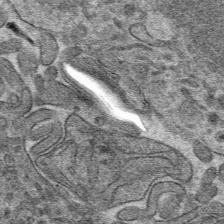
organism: Mouse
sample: Mouse hepatocytes